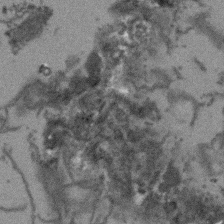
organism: Arabidopsis thaliana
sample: Root tip